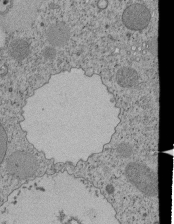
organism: Tetrahymena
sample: Cilia in tetrahymena